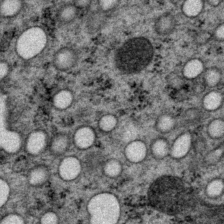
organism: P. pacificus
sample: Pharynx